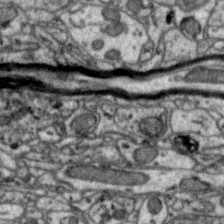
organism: Zebra finch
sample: Brain